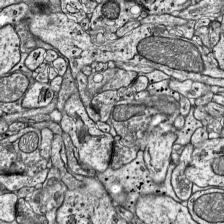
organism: Mouse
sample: Visual Cortex